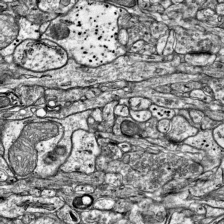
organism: Mouse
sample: Visual Cortex